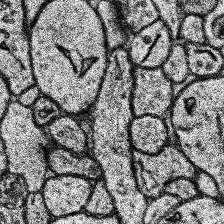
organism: Human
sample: Temporal Lobe